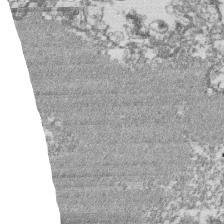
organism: Human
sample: HeLa cell HIV synapse